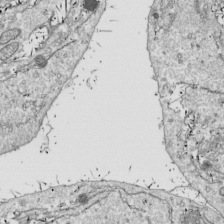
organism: Drosophila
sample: Cell division; meiosis; drosophila spermatocytes